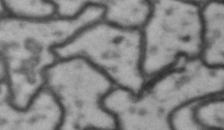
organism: Drosophila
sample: Brain